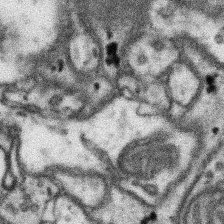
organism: Mouse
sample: Somatosensory cortex neuropil